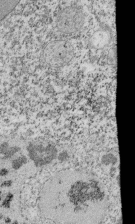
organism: Tetrahymena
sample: Cilia in tetrahymena